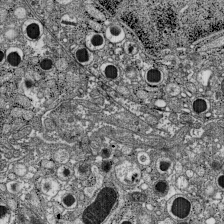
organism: C57BL Mouse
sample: Pancreatic islet